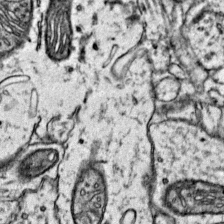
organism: Mouse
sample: Primary visual cortex